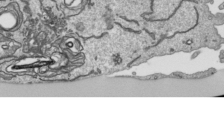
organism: Human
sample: Mitochondria in HCT116 cells